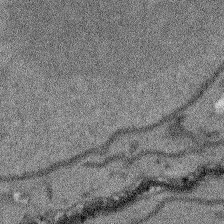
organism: Arabidopsis thaliana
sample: Root tip